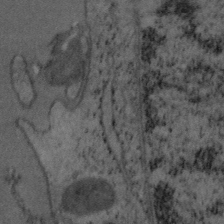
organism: Human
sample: HeLa cells